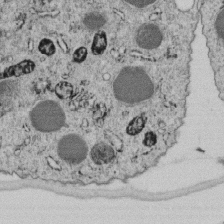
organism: C. elegans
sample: C. elegans embryo early stage